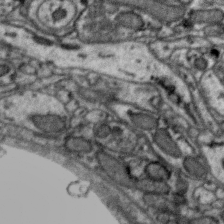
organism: Zebra finch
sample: Brain